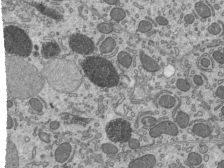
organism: Mouse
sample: Mouse epididymis efferent ductule cilia